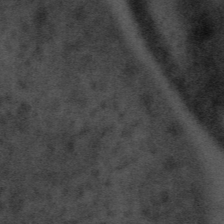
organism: Tuwongella immobilis